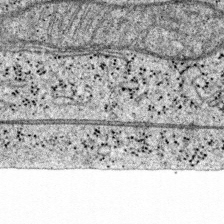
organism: Human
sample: HeLa cells